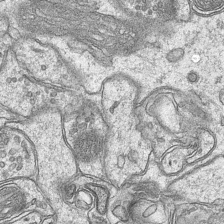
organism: Mouse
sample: CA1 Hippocampus